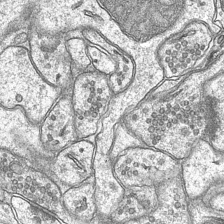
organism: Mouse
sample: CA1 Hippocampus